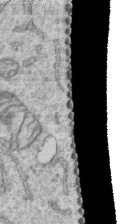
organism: Human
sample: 1205lu cells